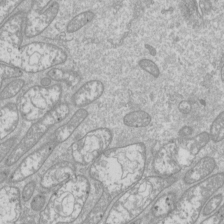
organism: Drosophila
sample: Cell division; meiosis; drosophila spermatocytes